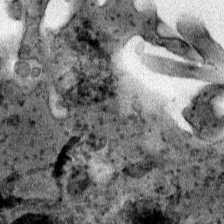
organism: Human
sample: Mitochondria in HCT116 cells